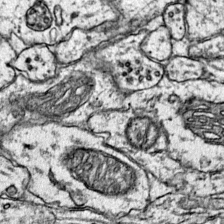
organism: Mouse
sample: Primary visual cortex